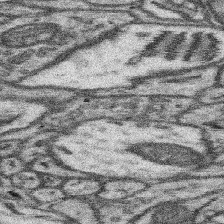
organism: Mouse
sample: Somatosensory cortex neuropil